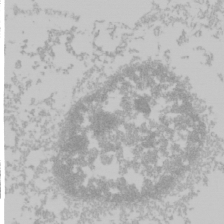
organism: Mouse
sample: Cancer cell death in ED-1 cells